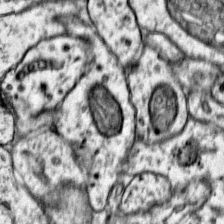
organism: Mouse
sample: Primary visual cortex